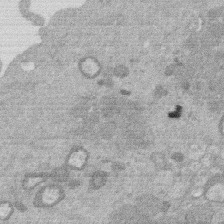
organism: Mouse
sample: Dividing mouse embryo 1 cell stage